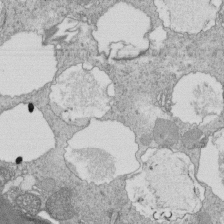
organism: Tetrahymena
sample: Cilia in tetrahymena